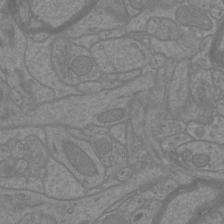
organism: Mouse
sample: Cortical neurons